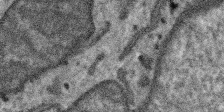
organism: Human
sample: Lung epithelial cells infected with SARS-CoV-2